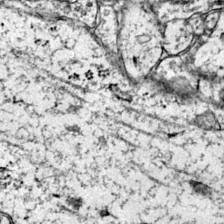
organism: Mouse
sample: Primary visual cortex